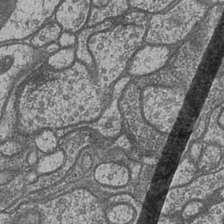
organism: Drosophila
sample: Optic medulla